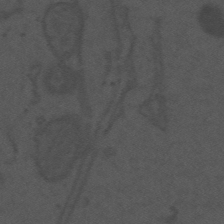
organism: Mouse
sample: Suprachiasmatic nucleus